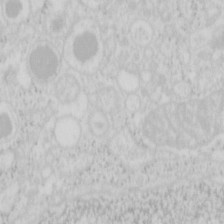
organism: Mouse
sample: Pancreas